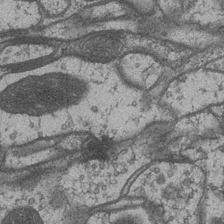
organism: Drosophila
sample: Optic medulla